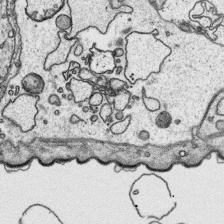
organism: Platynereis dumerilii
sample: Parapodia